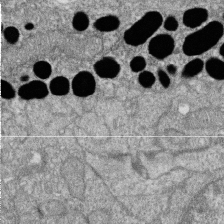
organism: Zebrafish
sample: Cilia; retinal pigment epithelium